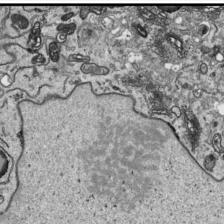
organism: Human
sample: Mitochondria in HCT116 cells